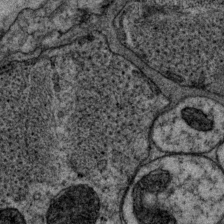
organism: P. pacificus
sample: Pharynx